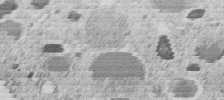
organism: C. elegans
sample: C. elegans embryo early stage